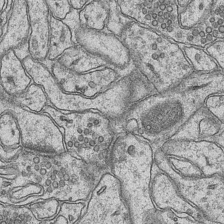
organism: Mouse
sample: CA1 Hippocampus